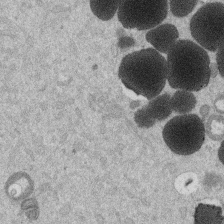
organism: Mouse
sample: Dividing mouse embryo 1 cell stage